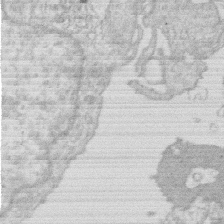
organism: Human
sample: Macrophage cells